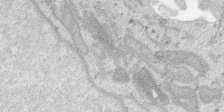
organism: Human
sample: Lung epithelial cells infected with SARS-CoV-2